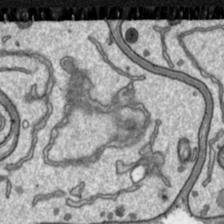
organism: Toxoplasma gondii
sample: Parasites in a vacuole inside a host cell